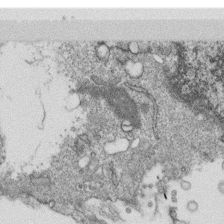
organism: African green monkey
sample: Vero E6 cells infected with SARS-CoV-2